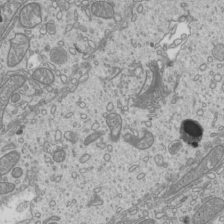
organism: Mouse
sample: Cilia; mouse epididymis